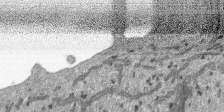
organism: Human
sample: Lung epithelial cells infected with SARS-CoV-2